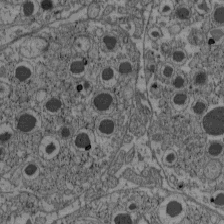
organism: C57BL Mouse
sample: Pancreatic islet